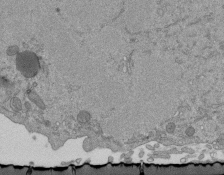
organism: Mouse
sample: ED-1 cell nuclei; centrioles